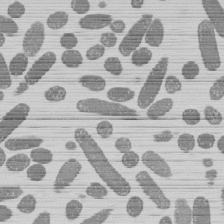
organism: E. coli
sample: Bacterial nucleoid